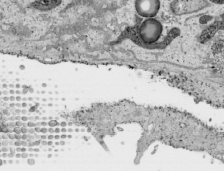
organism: Human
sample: Mitochondria in HCT116 cells